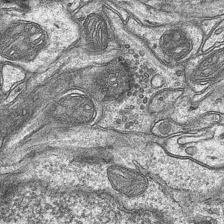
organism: Mouse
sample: CA1 Hippocampus